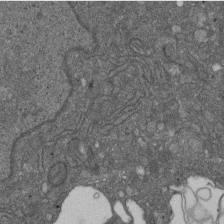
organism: Drosophila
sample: Nephrocyte